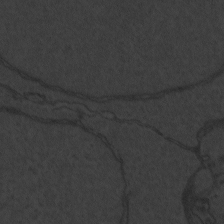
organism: Zebrafish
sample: Macrophage infected with Toxoplasma gondii